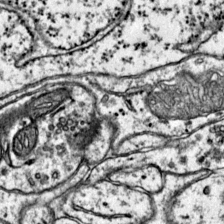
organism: Mouse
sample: Primary visual cortex